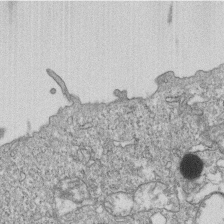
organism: Human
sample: HeLa cell HIV synapse